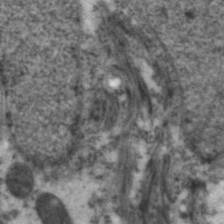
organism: C. elegans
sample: Pharynx